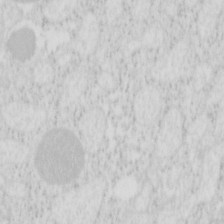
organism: Mouse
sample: Pancreas